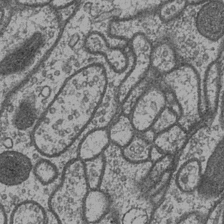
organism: Drosophila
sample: Optic medulla